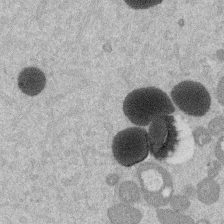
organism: Mouse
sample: Dividing mouse embryo 1 cell stage